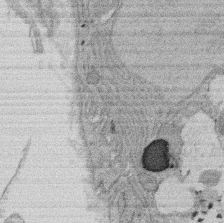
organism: Rat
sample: Salivary granule